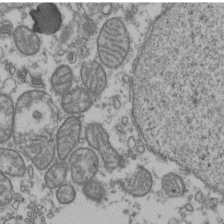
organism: Human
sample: Activated Jurkat CD4+ T cells